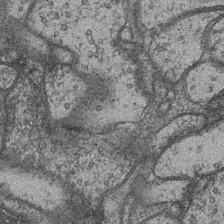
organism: Drosophila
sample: Optic medulla